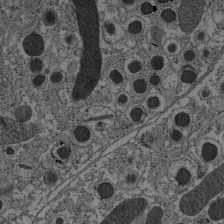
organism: C57BL Mouse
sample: Pancreatic islet